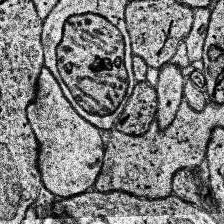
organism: Human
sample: Temporal Lobe